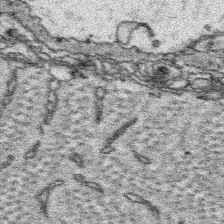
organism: Platynereis dumerilii